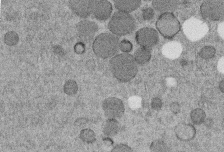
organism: C. elegans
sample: C. elegans embryo early stage